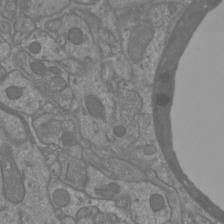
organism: Mouse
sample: Cortical neurons